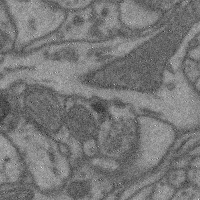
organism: Mouse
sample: Cerebral cortex